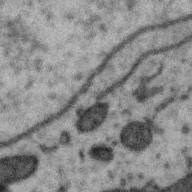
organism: Zebra finch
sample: Brain